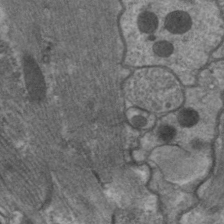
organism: C. elegans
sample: Pharynx